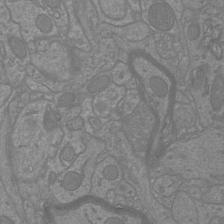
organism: Mouse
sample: Cortical neurons